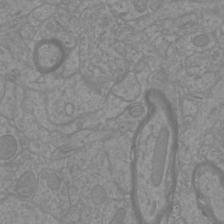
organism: Mouse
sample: Cortical neurons